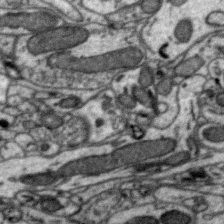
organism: Zebra finch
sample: Brain